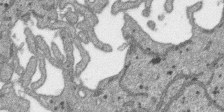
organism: Human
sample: Lung epithelial cells infected with SARS-CoV-2